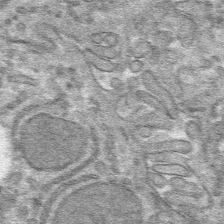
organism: Mouse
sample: Mouse hepatocytes